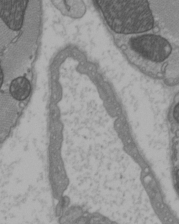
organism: C57BL Mouse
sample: Heart